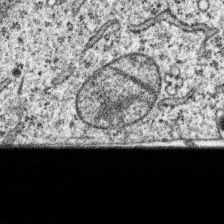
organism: Human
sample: HeLa cells